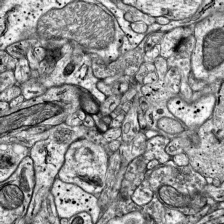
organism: Mouse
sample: Visual Cortex